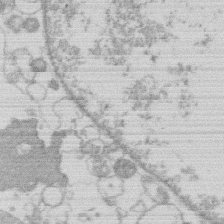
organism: Human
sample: Macrophage cells